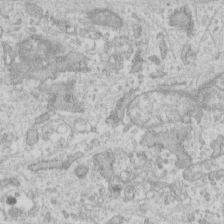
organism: Human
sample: Fibroblast cells